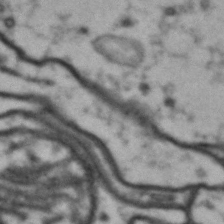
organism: Drosophila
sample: Brain